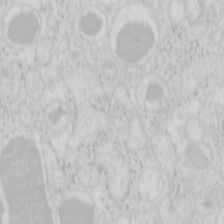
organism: Mouse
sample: Pancreas